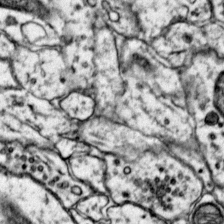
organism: Mouse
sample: Primary visual cortex